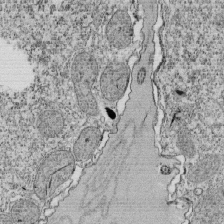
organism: Tetrahymena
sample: Cilia in tetrahymena